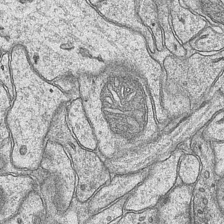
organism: Mouse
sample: CA1 Hippocampus